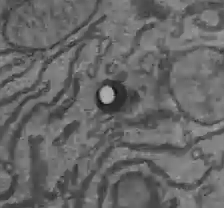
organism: C57BL Mouse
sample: Liver